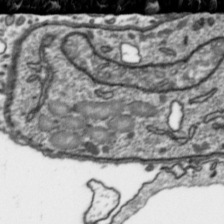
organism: Toxoplasma gondii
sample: Parasites in a vacuole inside a host cell